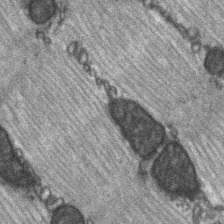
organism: C57BL Mouse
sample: Soleus